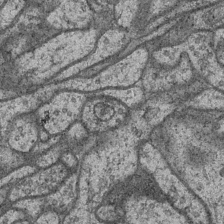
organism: Drosophila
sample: Optic medulla